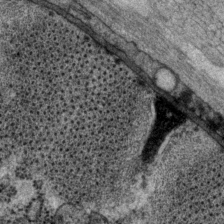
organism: P. pacificus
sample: Pharynx